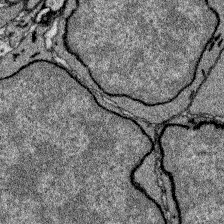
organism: Zebrafish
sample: Larval olfactory bulb